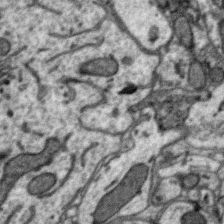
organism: Zebra finch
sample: Brain